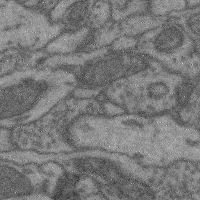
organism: Mouse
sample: Cerebral cortex